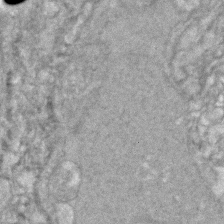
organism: Zebrafish